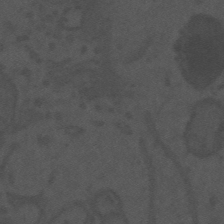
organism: Mouse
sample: Suprachiasmatic nucleus